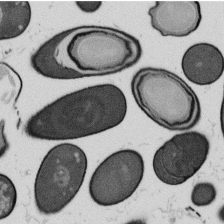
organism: B. subtilis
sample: Bacterial spore